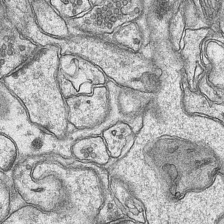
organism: Mouse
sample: CA1 Hippocampus